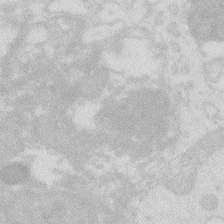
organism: Zebrafish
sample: Macrophage